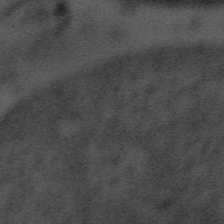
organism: Tuwongella immobilis